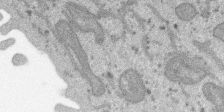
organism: Human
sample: Lung epithelial cells infected with SARS-CoV-2